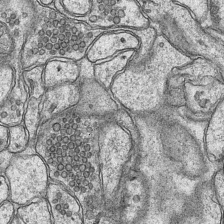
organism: Mouse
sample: CA1 Hippocampus